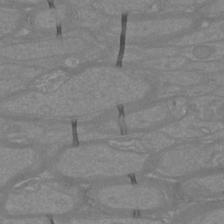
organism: Mouse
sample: Cortical neurons